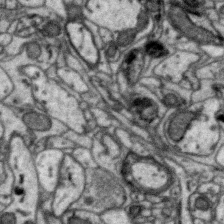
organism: Zebra finch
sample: Brain